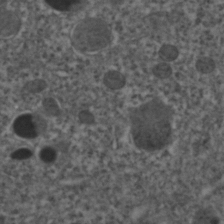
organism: C. elegans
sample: C. elegans embryo